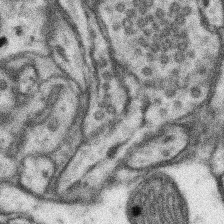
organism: Mouse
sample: Somatosensory cortex neuropil